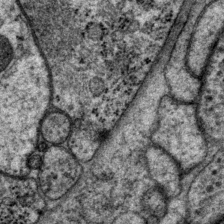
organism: P. pacificus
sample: Pharynx